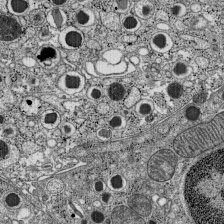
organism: C57BL Mouse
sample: Pancreatic islet